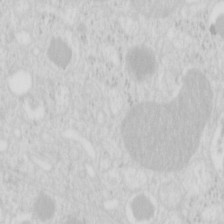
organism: Mouse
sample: Pancreas